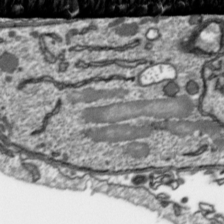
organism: Toxoplasma gondii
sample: Parasites in a vacuole inside a host cell